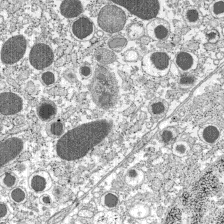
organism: C57BL Mouse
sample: Pancreatic islet